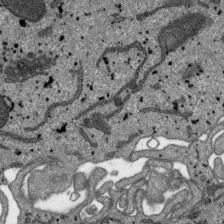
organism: Human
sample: Lung epithelial cells, uninfected (mock) control